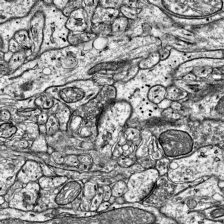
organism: Mouse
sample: Visual Cortex